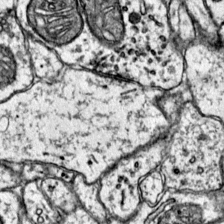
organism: Mouse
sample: Primary visual cortex